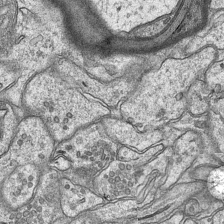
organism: Mouse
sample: CA1 Hippocampus